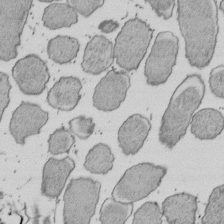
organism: E. coli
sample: Bacterial nucleoid